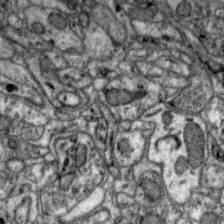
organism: Zebra finch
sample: Brain